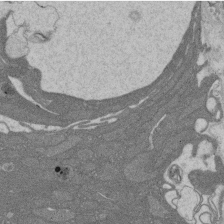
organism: Rat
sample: Salivary granule